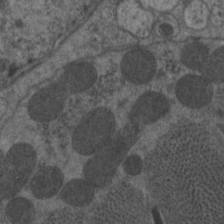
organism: C. elegans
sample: Pharynx